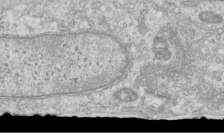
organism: Human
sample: Centriole in RPE cells